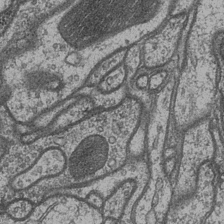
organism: Drosophila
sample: Optic medulla